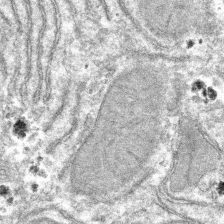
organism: Mouse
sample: Mouse hepatocytes